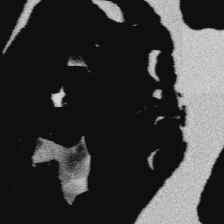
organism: Platynereis dumerilii